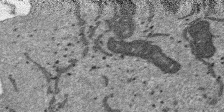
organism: Human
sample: Lung epithelial cells infected with SARS-CoV-2